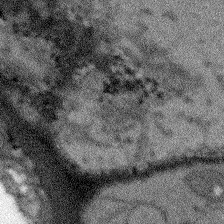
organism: Arabidopsis thaliana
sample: Root tip